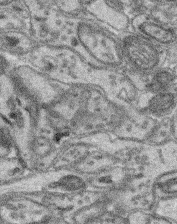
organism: Mouse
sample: Retina